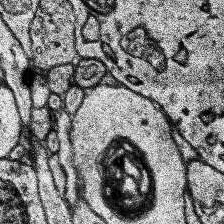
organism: Human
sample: Temporal Lobe